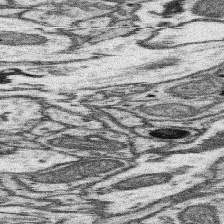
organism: Mouse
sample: Somatosensory cortex neuropil